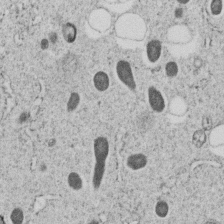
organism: C. elegans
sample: C. elegans embryo early stage